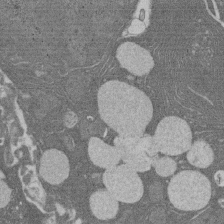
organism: Rat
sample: Salivary granule